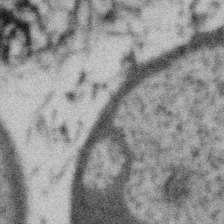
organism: Gemmata obscuriglobus